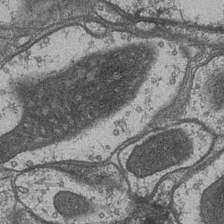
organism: Drosophila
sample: Optic medulla